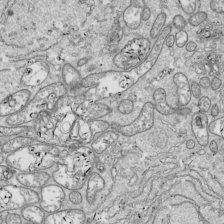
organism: Drosophila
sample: Cell division; meiosis; drosophila spermatocytes